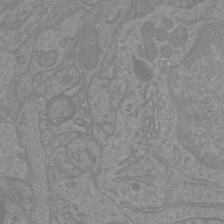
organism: Mouse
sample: Cortical neurons